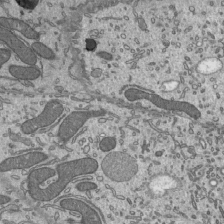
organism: Mouse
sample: Mouse epididymis efferent ductule cilia